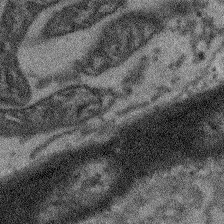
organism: Arabidopsis thaliana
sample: Root tip